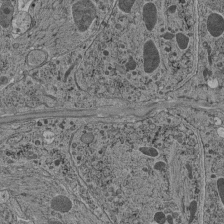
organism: C. elegans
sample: C. elegans pharynx